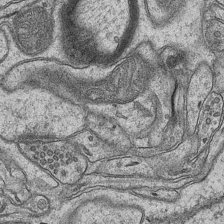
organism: Mouse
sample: CA1 Hippocampus